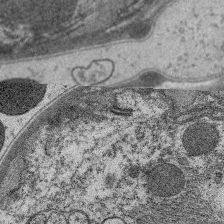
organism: C. elegans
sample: Pharynx